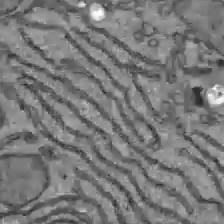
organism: C57BL Mouse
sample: Liver